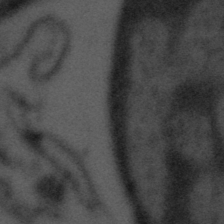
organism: Tuwongella immobilis